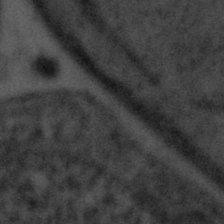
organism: Tuwongella immobilis